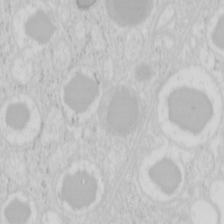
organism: Mouse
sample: Pancreas